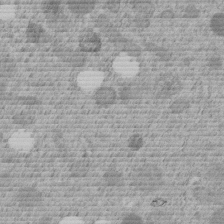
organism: C. elegans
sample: C. elegans embryo early stage